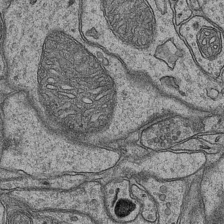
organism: Mouse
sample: CA1 Hippocampus